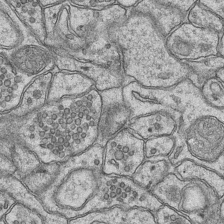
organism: Mouse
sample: CA1 Hippocampus